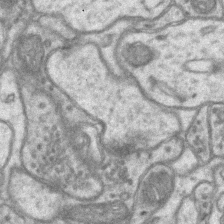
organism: Mouse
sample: CA1 Hippocampus